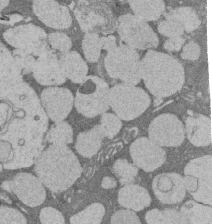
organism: Rat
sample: Salivary granule